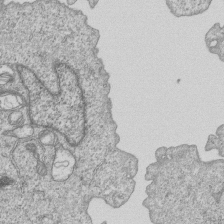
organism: Human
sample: MDA-MB-231 cells